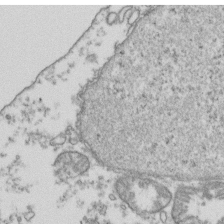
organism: Human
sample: Activated Jurkat CD4+ T cells